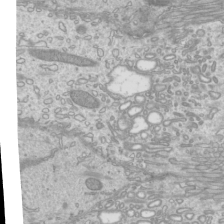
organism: Mouse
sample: Cilia; mouse epididymis